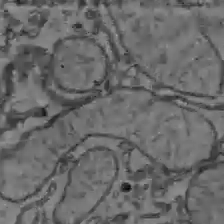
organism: C57BL Mouse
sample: Liver